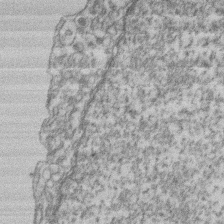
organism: Mouse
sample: T cell stromal cell synapse